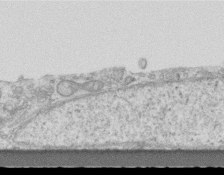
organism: Mouse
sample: Centriole in ependymal cells